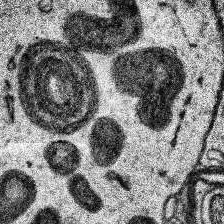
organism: Human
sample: Temporal Lobe